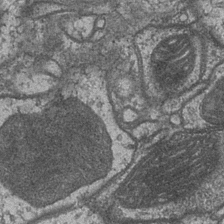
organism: Drosophila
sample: Optic medulla